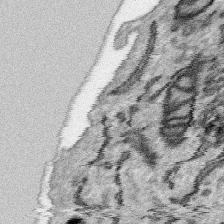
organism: Human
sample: HeLa cells